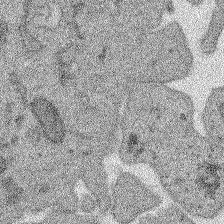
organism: Human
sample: HeLa cells